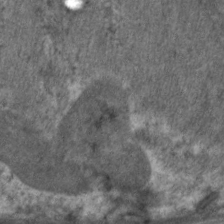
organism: C. elegans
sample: Pharynx